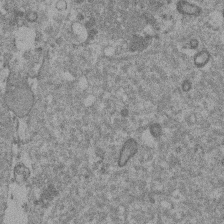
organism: Mouse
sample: Dividing mouse embryo 1 cell stage